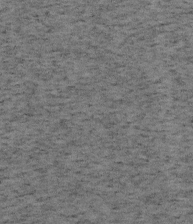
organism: Mouse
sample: OT-I killer T cells with ID8 ovarian cancer cells